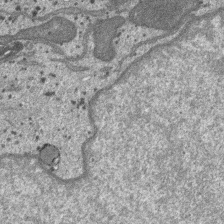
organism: Human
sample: Lung epithelial cells infected with SARS-CoV-2